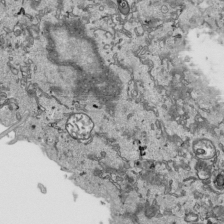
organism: Human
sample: Mitochondria in HCT116 cells